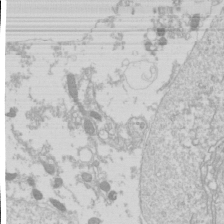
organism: Drosophila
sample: Cell division; meiosis; drosophila spermatocytes